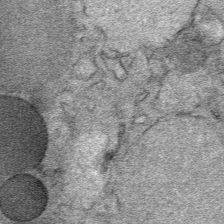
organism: Mouse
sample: Mouse Salivary gland